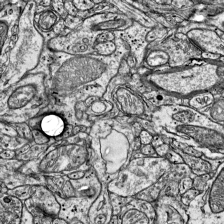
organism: Mouse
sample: Visual Cortex